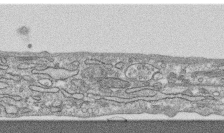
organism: Human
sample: CRL-1474